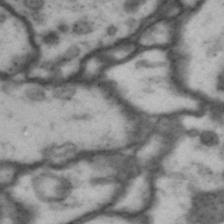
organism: Drosophila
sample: Brain